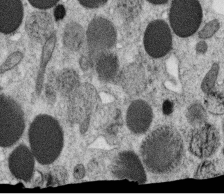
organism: C. elegans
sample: C. elegans oocyte; sperm cells